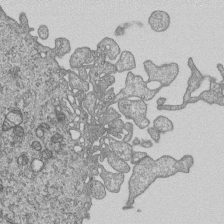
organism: Human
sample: MDA-MB-231 cells